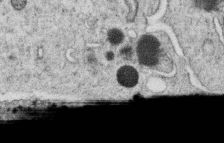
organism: C. elegans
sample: C. elegans oocyte; sperm cells